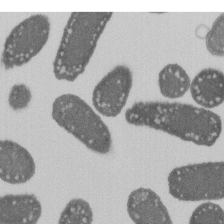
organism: E. coli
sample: Bacterial nucleoid